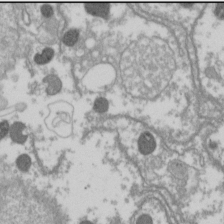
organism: Drosophila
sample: Cell division; meiosis; drosophila spermatocytes